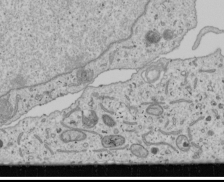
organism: Human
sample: Mitochondria in U2OS cells